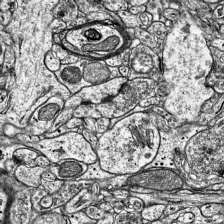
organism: Mouse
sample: Visual Cortex